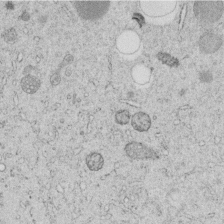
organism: C. elegans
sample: C. elegans embryo early stage